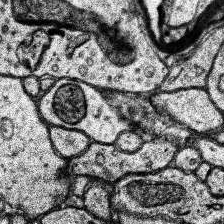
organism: Human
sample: Temporal Lobe